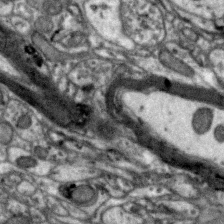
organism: Zebra finch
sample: Brain